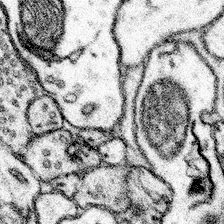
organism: Mouse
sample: Somatosensory cortex neuropil